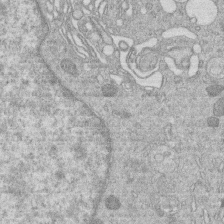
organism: Human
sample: Macrophage cells